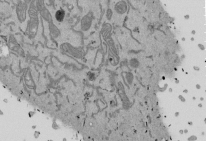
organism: Mouse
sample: ED-1 cell nuclei; centrioles